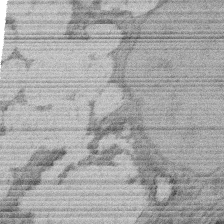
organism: Rat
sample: Salivary granule